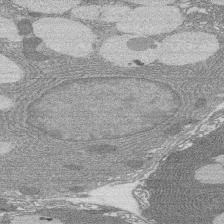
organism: Rat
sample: Salivary granule